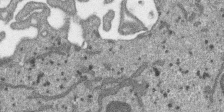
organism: Human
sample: Lung epithelial cells infected with SARS-CoV-2